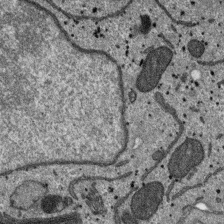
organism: Human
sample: Lung epithelial cells, uninfected (mock) control